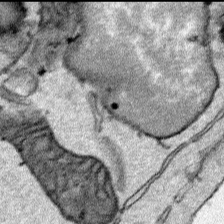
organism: Human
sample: Mitochondria in HCT116 cells